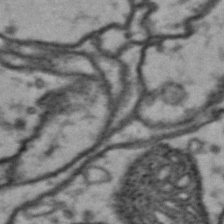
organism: Drosophila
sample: Brain